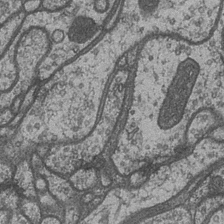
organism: Drosophila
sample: Optic medulla